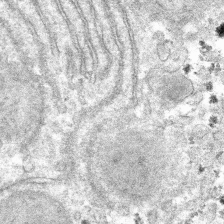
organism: Mouse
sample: Mouse hepatocytes